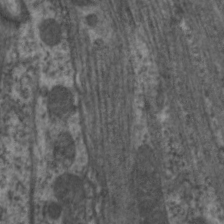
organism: C. elegans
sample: Pharynx